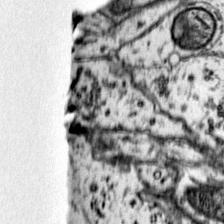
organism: Mouse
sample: Primary visual cortex